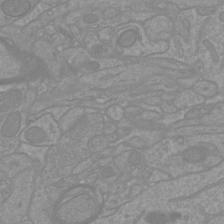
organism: Mouse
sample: Cortical neurons